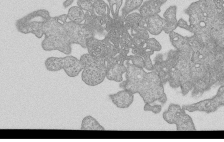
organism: Human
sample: MDA-MB-231 cells